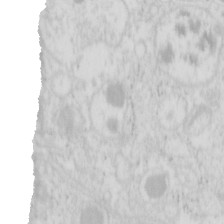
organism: Mouse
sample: Pancreas